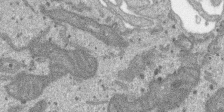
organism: Human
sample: Lung epithelial cells infected with SARS-CoV-2